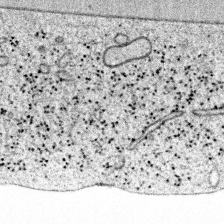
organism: Human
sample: HeLa cells